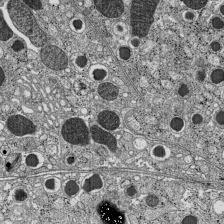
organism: C57BL Mouse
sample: Pancreatic islet